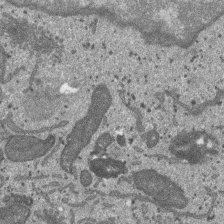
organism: Human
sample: Lung epithelial cells infected with SARS-CoV-2